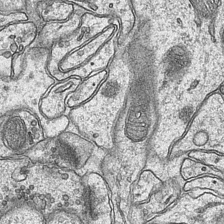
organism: Mouse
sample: CA1 Hippocampus